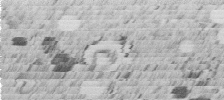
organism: C. elegans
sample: C. elegans embryo early stage